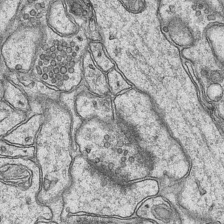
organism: Mouse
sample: CA1 Hippocampus